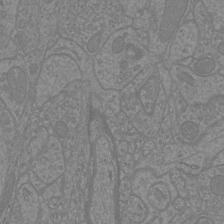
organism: Mouse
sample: Cortical neurons